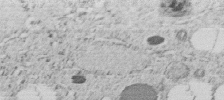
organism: C. elegans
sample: C. elegans embryo early stage